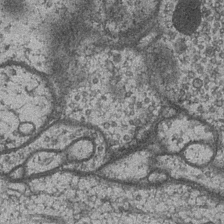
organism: Drosophila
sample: Optic medulla